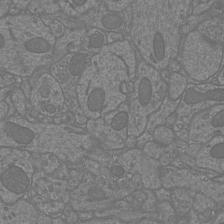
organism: Mouse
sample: Cortical neurons